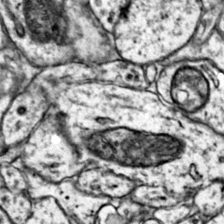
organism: Mouse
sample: Primary visual cortex